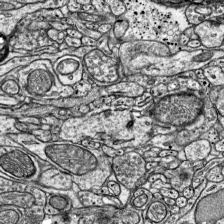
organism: Mouse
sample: Visual Cortex